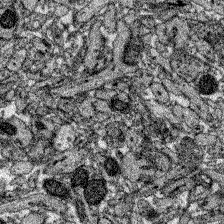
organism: Zebrafish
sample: Larval olfactory bulb